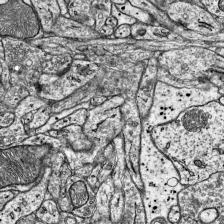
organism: Mouse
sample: Visual Cortex